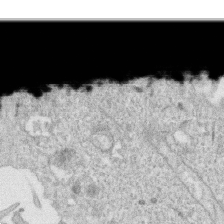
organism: Human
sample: HeLa cell HIV synapse